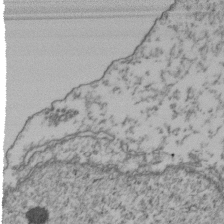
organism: Human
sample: Activated Jurkat CD4+ T cells